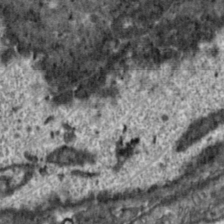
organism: Toxoplasma gondii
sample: Parasites in a vacuole inside a host cell